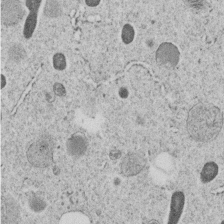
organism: C. elegans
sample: C. elegans embryo early stage